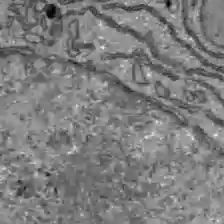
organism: C57BL Mouse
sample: Liver